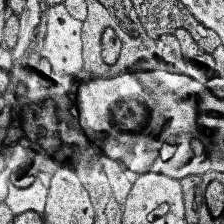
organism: Human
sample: Temporal Lobe